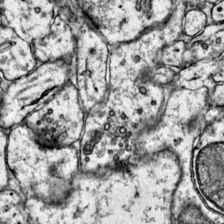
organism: Mouse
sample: Primary visual cortex